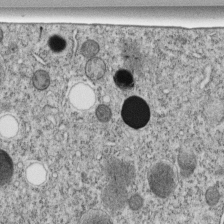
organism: C. elegans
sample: C. elegans embryo early stage